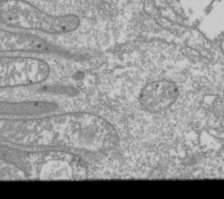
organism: Drosophila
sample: Cell division; meiosis; drosophila spermatocytes